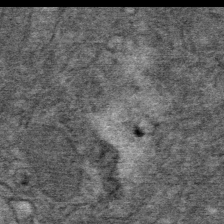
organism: Mouse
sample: Mouse Salivary gland